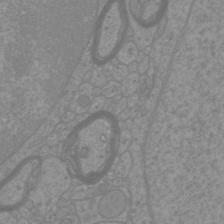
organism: Mouse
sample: Cortical neurons